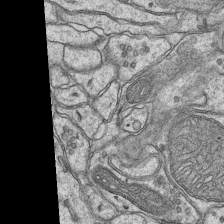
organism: Mouse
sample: CA1 Hippocampus